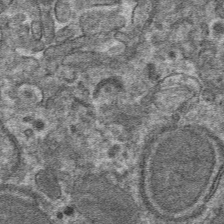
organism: Mouse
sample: Mouse hepatocytes